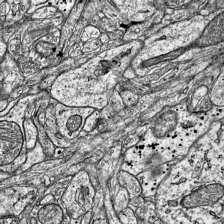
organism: Mouse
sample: Visual Cortex